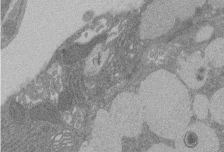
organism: Rat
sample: Salivary granule